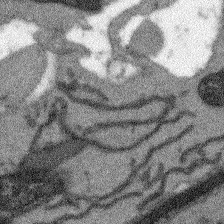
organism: Arabidopsis thaliana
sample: Root tip